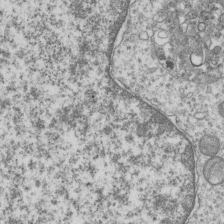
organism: Human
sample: MDA-MB-231 cells